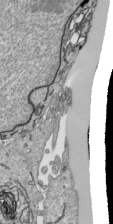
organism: Human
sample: Mitochondria in HCT116 cells